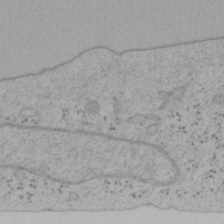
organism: Human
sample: HeLa cells